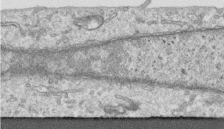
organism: Human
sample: Centriole in RPE cells